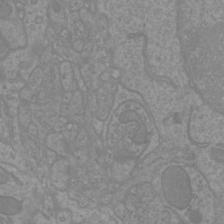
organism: Mouse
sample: Cortical neurons